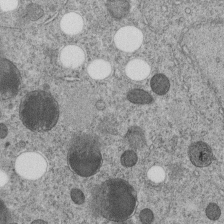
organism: C. elegans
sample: C. elegans embryo early stage